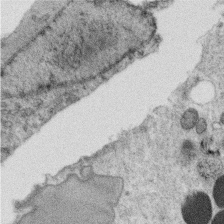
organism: C. elegans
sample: C. elegans oocyte; sperm cells